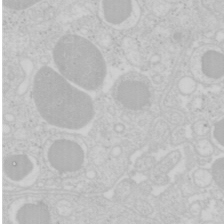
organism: Mouse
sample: Pancreas